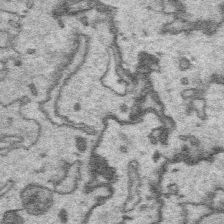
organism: Platynereis dumerilii